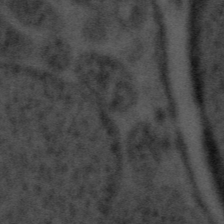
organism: Tuwongella immobilis